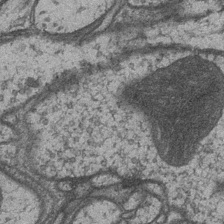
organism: Drosophila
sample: Optic medulla